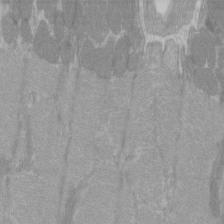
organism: C57BL Mouse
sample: Tibialis anterior muscle cell